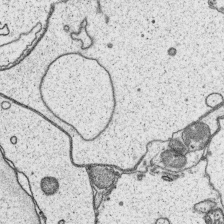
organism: Platynereis dumerilii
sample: Parapodia